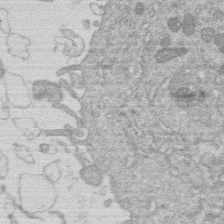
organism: Human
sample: Macrophage cells